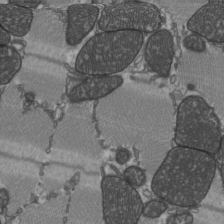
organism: C57BL Mouse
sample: Heart